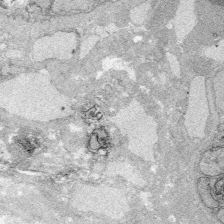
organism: Zebrafish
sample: Whole-Brain